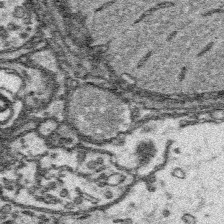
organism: Platynereis dumerilii